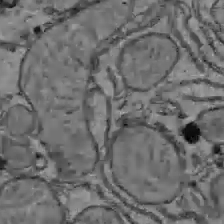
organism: C57BL Mouse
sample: Liver